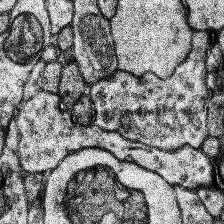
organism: Human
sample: Temporal Lobe